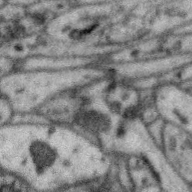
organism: Zebra finch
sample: Brain